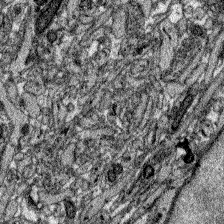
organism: Zebrafish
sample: Larval olfactory bulb